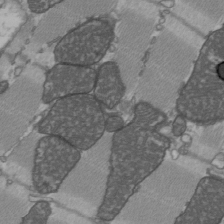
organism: C57BL Mouse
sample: Heart